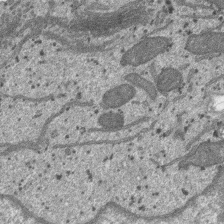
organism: Human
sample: Lung epithelial cells infected with SARS-CoV-2